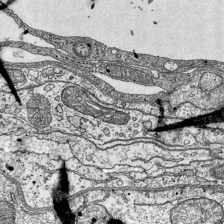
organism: Mouse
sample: Visual Cortex